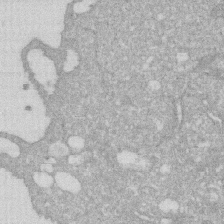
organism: Human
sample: HIV infected U937 cells